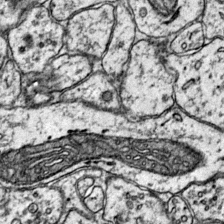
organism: Mouse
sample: Primary visual cortex